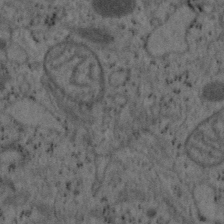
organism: Human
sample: HeLa cells